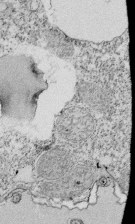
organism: Tetrahymena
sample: Cilia in tetrahymena